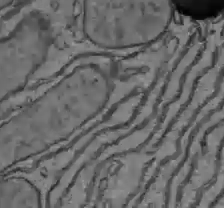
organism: C57BL Mouse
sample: Liver